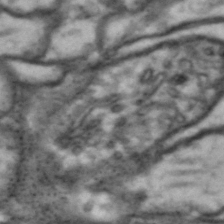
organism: Drosophila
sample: Brain